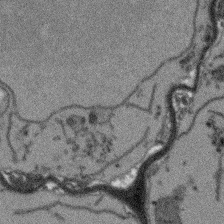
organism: Arabidopsis thaliana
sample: Root tip